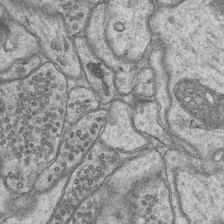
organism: Mouse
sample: CA1 Hippocampus